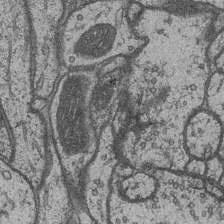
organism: Drosophila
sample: Optic medulla